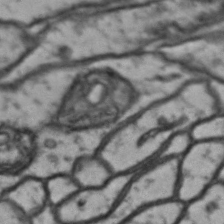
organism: Drosophila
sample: Brain